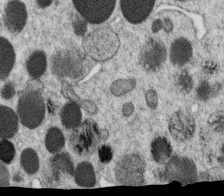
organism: C. elegans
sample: C. elegans oocyte; sperm cells